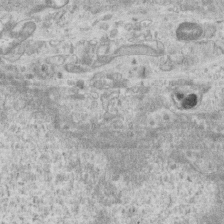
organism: Mouse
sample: Centriole in ependymal cells